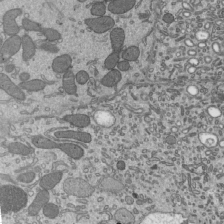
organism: Mouse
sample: Mouse epididymis efferent ductule cilia